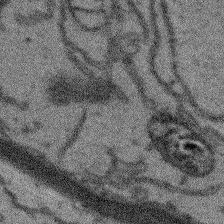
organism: Arabidopsis thaliana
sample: Root tip